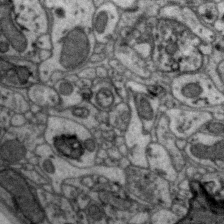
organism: Zebra finch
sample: Brain